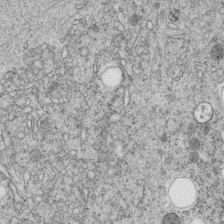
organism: C. elegans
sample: C. elegans embryo early stage